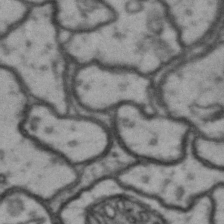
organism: Drosophila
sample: Brain